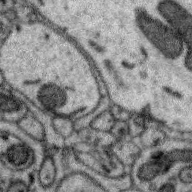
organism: Zebra finch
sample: Brain